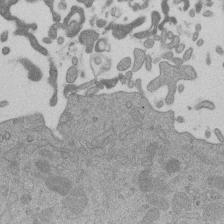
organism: Mouse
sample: Dividing mouse embryo 1 cell stage